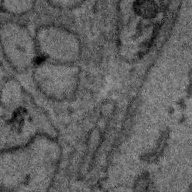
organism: Zebra finch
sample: Brain